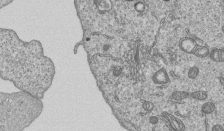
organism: Human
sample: MDA-MB-231 cells